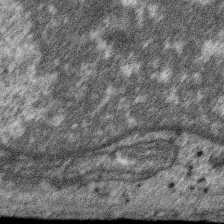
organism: Human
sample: Lung epithelial cells infected with SARS-CoV-2